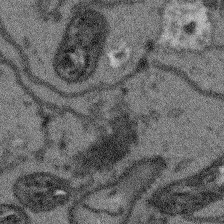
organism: Arabidopsis thaliana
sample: Root tip